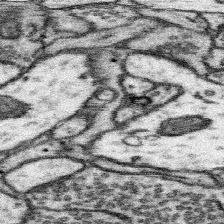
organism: Mouse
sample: Somatosensory cortex neuropil